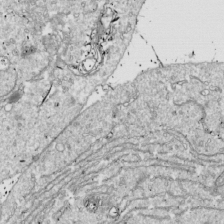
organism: Drosophila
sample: Cell division; meiosis; drosophila spermatocytes